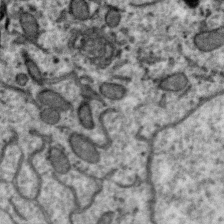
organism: Zebra finch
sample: Brain